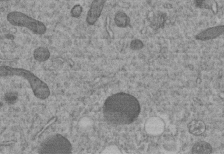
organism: C. elegans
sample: C. elegans embryo early stage